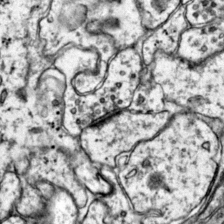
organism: Mouse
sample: Primary visual cortex